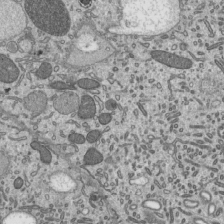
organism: Mouse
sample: Mouse epididymis efferent ductule cilia